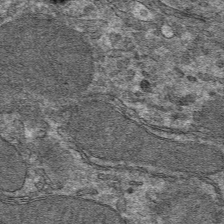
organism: Mouse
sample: Mouse hepatocytes